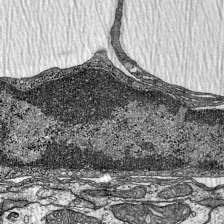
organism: Mouse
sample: Visual Cortex